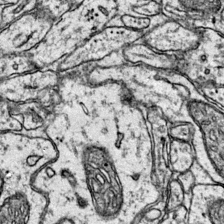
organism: Mouse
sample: Primary visual cortex